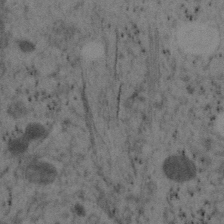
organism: Human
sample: HeLa cells